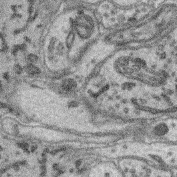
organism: Mouse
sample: Retina